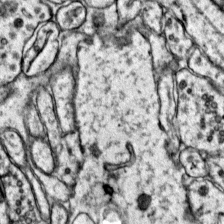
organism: Mouse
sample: Primary visual cortex